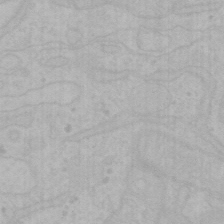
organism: Mouse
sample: Choroid plexus